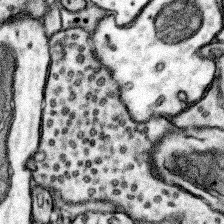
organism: Mouse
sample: Somatosensory cortex neuropil